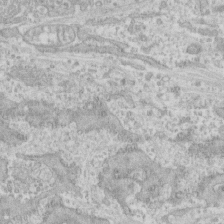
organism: Human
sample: CRL-1474